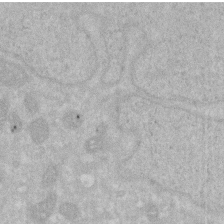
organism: Human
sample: HIV infected U937 cells